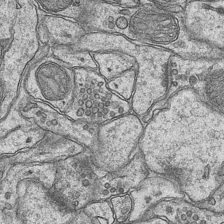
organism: Mouse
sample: CA1 Hippocampus